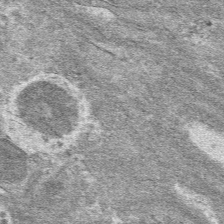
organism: Mouse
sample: Mouse hepatocytes